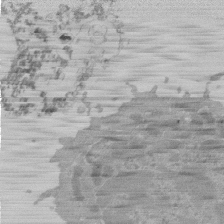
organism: Mouse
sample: Activated Pmel transgenic CD8+ T Cells